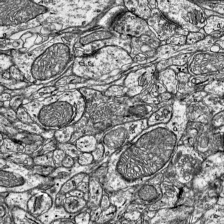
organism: Mouse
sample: Visual Cortex